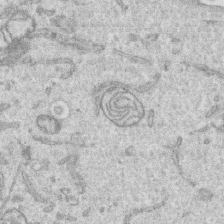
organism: Human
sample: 1205lu cells